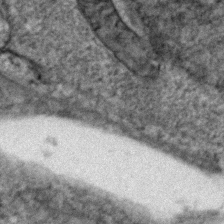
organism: Zebrafish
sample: Zebrafish embryo